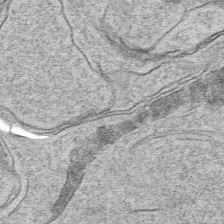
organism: Mouse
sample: Mouse hepatocytes